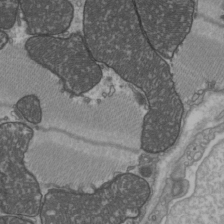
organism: C57BL Mouse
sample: Heart